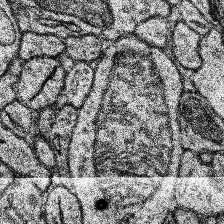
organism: Human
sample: Temporal Lobe